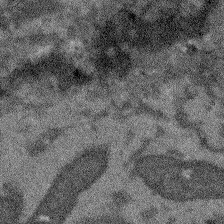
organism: Arabidopsis thaliana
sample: Root tip